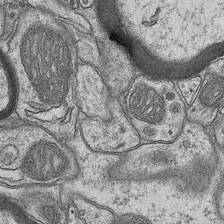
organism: Mouse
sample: CA1 Hippocampus